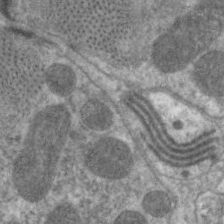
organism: C. elegans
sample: Pharynx